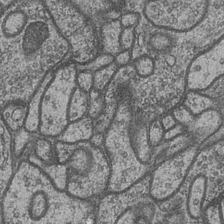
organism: Drosophila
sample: Optic medulla